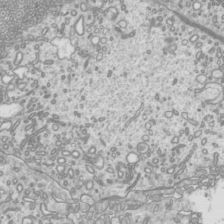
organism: Mouse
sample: Cilia; mouse epididymis